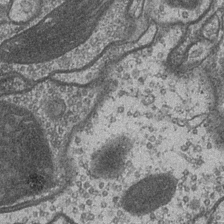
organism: Drosophila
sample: Optic medulla